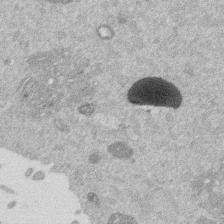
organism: Mouse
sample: Dividing mouse embryo 1 cell stage